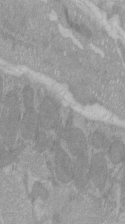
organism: C57BL Mouse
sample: Tibialis anterior muscle cell